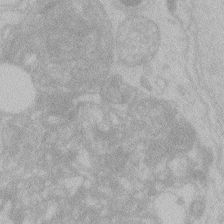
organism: Zebrafish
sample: Macrophage infected with Toxoplasma gondii